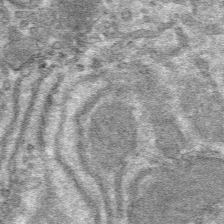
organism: Mouse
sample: Mouse hepatocytes